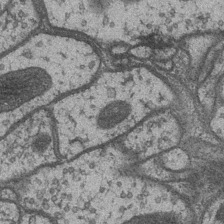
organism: Drosophila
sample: Optic medulla